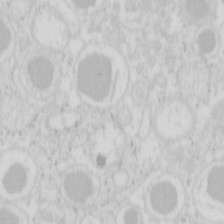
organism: Mouse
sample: Pancreas